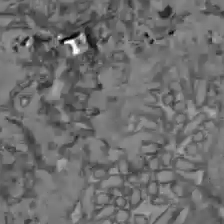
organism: C57BL Mouse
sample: Liver